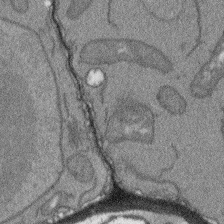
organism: Arabidopsis thaliana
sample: Root tip